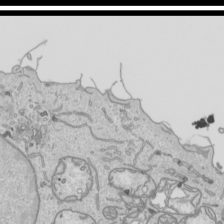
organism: Human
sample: Mitochondria in HCT116 cells